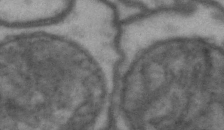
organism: Drosophila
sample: Brain